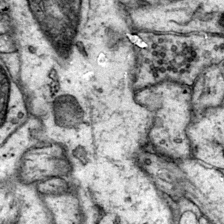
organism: Mouse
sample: Primary visual cortex